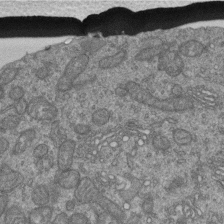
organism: Human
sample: Retinal organoid Rod and Cone cells